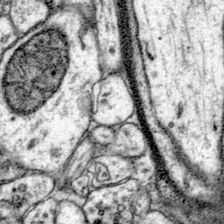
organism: Mouse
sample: Primary visual cortex